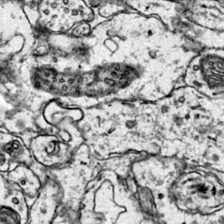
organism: Mouse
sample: Primary visual cortex